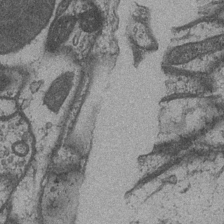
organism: Drosophila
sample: Optic medulla